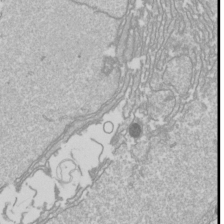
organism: Drosophila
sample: Cell division; meiosis; drosophila spermatocytes